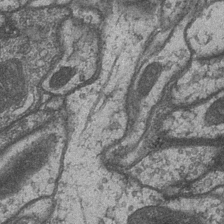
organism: Drosophila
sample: Optic medulla